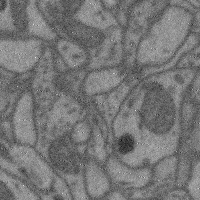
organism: Mouse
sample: Cerebral cortex